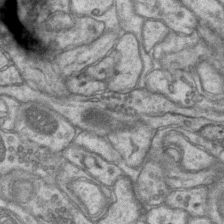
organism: Mouse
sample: CA1 Hippocampus